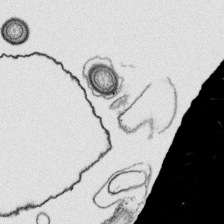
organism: Platynereis dumerilii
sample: Parapodia